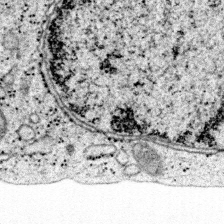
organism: Human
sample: HeLa cells